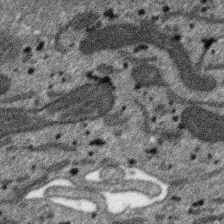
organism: Human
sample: Lung epithelial cells infected with SARS-CoV-2